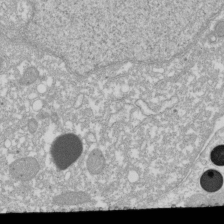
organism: Xenopus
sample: Cilia; centrioles in frog embryo cells